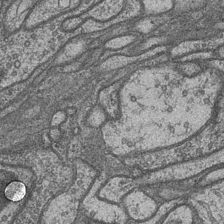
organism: Drosophila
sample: Optic medulla